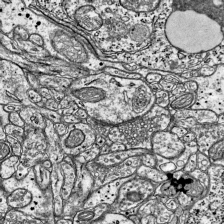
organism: Mouse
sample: Visual Cortex